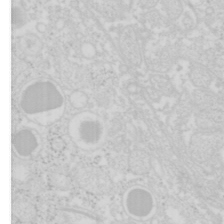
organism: Mouse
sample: Pancreas